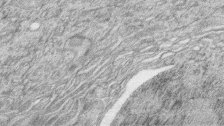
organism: Zebrafish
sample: synaptic ribbons in rod cells and cone cells